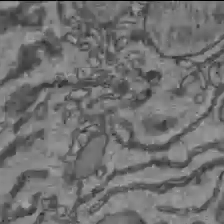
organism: C57BL Mouse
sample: Liver